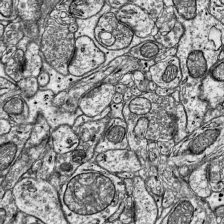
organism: Mouse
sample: Visual Cortex